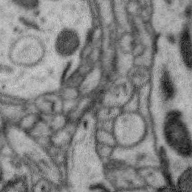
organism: Zebra finch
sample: Brain